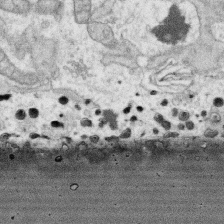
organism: Human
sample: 1205lu cells